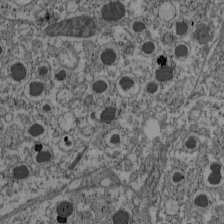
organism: C57BL Mouse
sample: Pancreatic islet